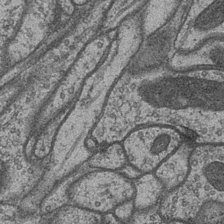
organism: Drosophila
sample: Optic medulla